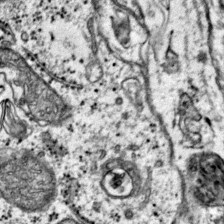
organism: Mouse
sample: Primary visual cortex